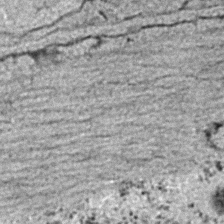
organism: C. elegans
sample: C. elegans embryo